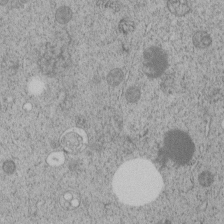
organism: C. elegans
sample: C. elegans embryo early stage